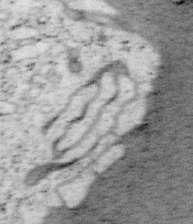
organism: Mouse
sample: OT-I killer T cells with ID8 ovarian cancer cells